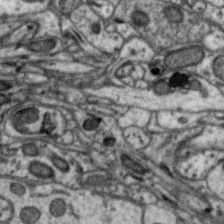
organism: Zebra finch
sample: Brain